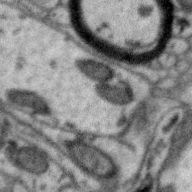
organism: Zebra finch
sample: Brain